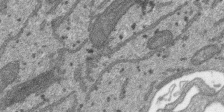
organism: Human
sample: Lung epithelial cells infected with SARS-CoV-2